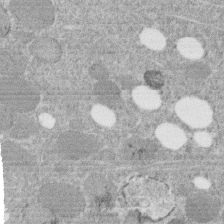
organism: C. elegans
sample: C. elegans embryo early stage